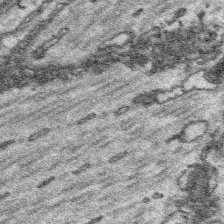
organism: Platynereis dumerilii